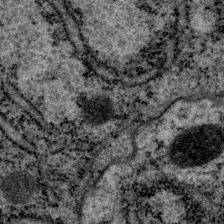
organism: P. pacificus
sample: Pharynx